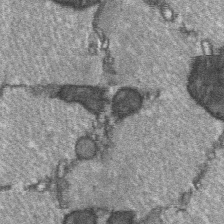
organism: C57BL Mouse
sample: Soleus